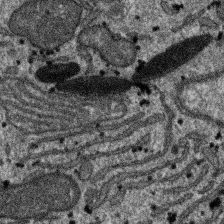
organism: Human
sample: Lung epithelial cells infected with SARS-CoV-2